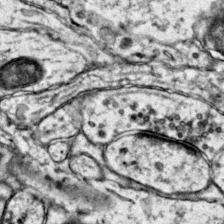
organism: Mouse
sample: Primary visual cortex